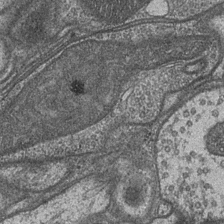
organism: Drosophila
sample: Optic medulla